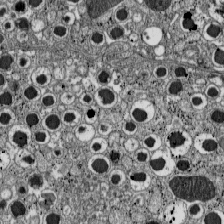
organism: C57BL Mouse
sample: Pancreatic islet